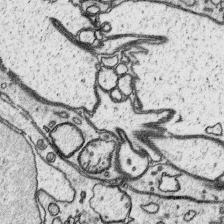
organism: Platynereis dumerilii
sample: Parapodia